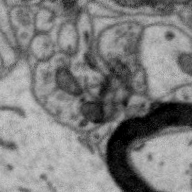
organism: Zebra finch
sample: Brain